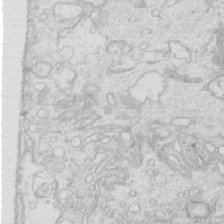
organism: Mouse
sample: Multiciliated cells